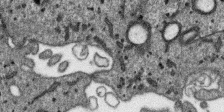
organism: Human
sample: Lung epithelial cells infected with SARS-CoV-2